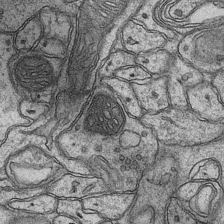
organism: Mouse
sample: CA1 Hippocampus